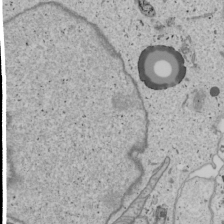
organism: Human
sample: Mitochondria in U2OS cells